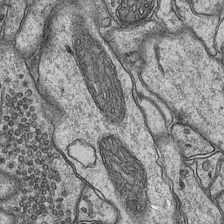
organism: Mouse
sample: CA1 Hippocampus